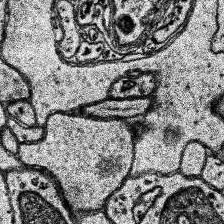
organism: Human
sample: Temporal Lobe